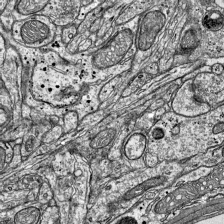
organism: Mouse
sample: Visual Cortex